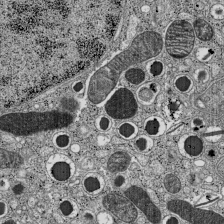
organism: C57BL Mouse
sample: Pancreatic islet